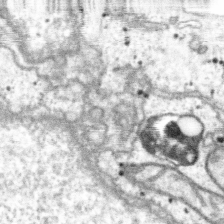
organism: Human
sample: HeLa cells